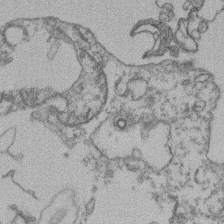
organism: Mouse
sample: T cell stromal cell synapse